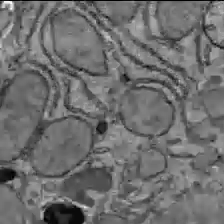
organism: C57BL Mouse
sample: Liver